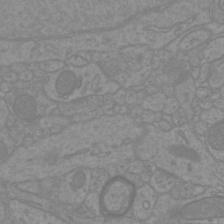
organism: Mouse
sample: Cortical neurons